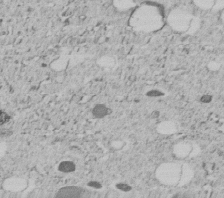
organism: C. elegans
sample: C. elegans embryo early stage